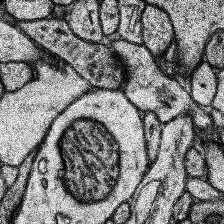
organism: Human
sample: Temporal Lobe